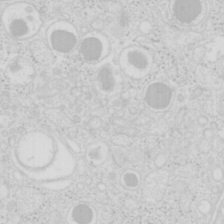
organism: Mouse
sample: Pancreas